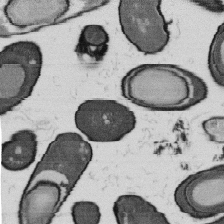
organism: B. subtilis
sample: Bacterial spore